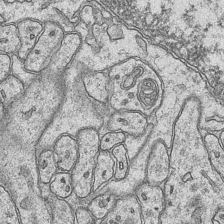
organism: Mouse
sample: CA1 Hippocampus